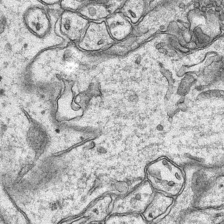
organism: Mouse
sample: CA1 Hippocampus